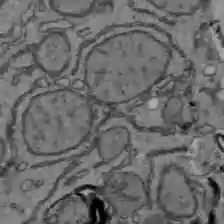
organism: C57BL Mouse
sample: Liver